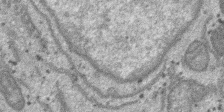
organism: Human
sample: Lung epithelial cells infected with SARS-CoV-2